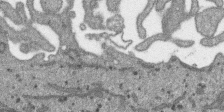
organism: Human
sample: Lung epithelial cells infected with SARS-CoV-2